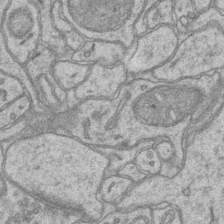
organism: Mouse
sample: CA1 Hippocampus